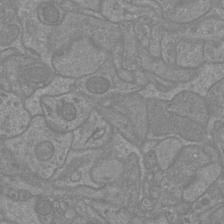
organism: Mouse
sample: Cortical neurons